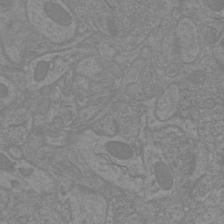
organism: Mouse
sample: Cortical neurons